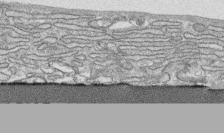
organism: Human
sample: CRL-1474